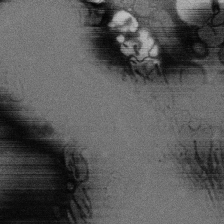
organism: Rat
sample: Salivary granule